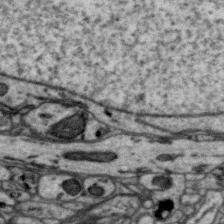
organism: Zebra finch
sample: Brain